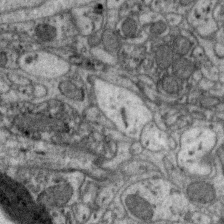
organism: Zebra finch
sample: Brain